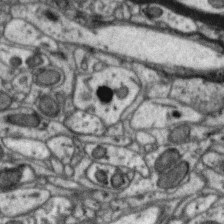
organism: Zebra finch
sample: Brain